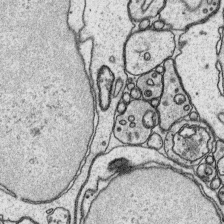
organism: Platynereis dumerilii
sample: Parapodia